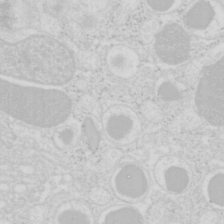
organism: Mouse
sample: Pancreas